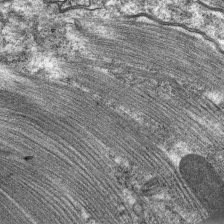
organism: C. elegans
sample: Pharynx